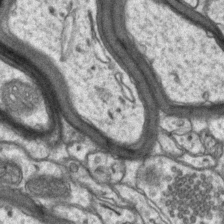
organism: Mouse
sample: CA1 Hippocampus